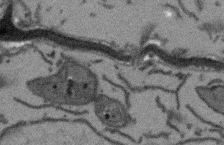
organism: Arabidopsis thaliana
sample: Root tip